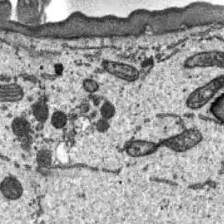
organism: Human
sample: HeLa cells